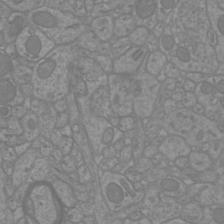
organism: Mouse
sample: Cortical neurons